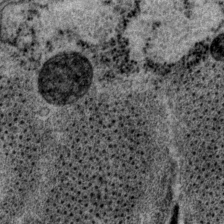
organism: P. pacificus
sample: Pharynx